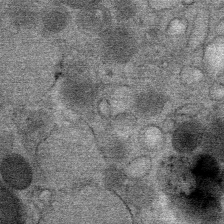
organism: Mouse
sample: Mouse Salivary gland